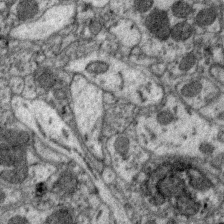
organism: Zebra finch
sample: Brain